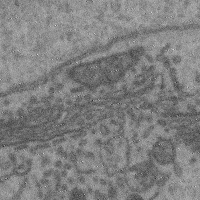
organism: Mouse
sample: Cerebral cortex